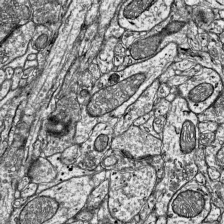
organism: Mouse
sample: Visual Cortex